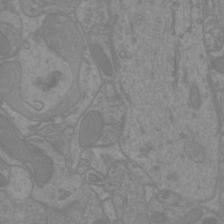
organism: Mouse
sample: Cortical neurons